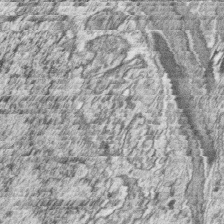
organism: Zebrafish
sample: synaptic ribbons in rod cells and cone cells